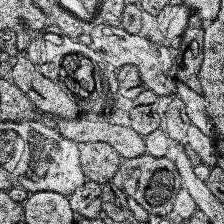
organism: Human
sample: Temporal Lobe